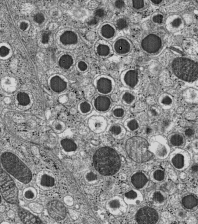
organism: C57BL Mouse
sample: Pancreatic islet